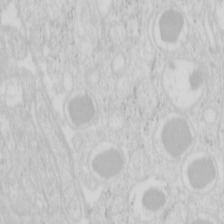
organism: Mouse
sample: Pancreas